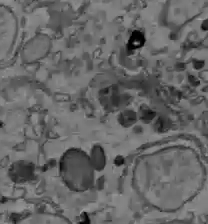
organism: C57BL Mouse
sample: Liver